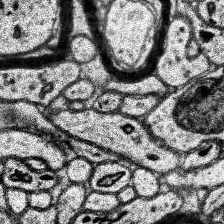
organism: Human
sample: Temporal Lobe